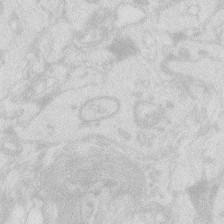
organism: Zebrafish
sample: Macrophage